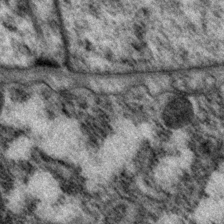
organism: P. pacificus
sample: Pharynx